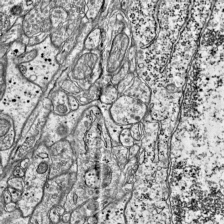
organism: Mouse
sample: Visual Cortex